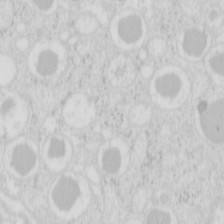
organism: Mouse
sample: Pancreas